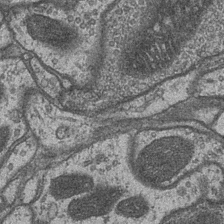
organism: Drosophila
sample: Optic medulla